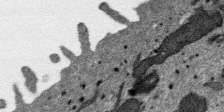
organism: Human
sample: Lung epithelial cells, uninfected (mock) control